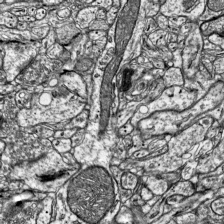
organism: Mouse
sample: Visual Cortex